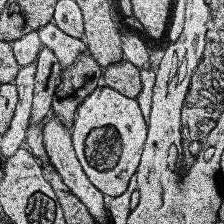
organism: Human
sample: Temporal Lobe